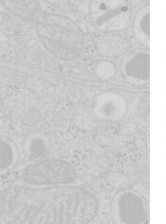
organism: Mouse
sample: Pancreas